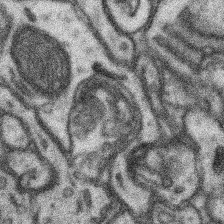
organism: Mouse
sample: Somatosensory cortex neuropil